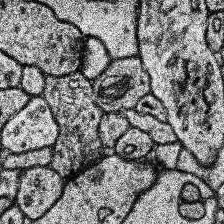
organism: Human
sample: Temporal Lobe